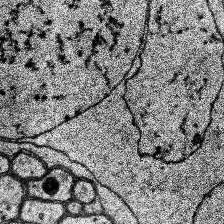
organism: Human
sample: Temporal Lobe